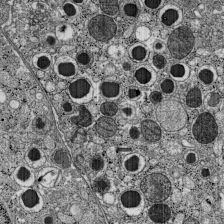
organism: C57BL Mouse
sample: Pancreatic islet